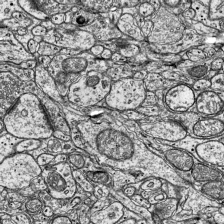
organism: Mouse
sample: Visual Cortex